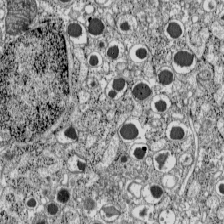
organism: C57BL Mouse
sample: Pancreatic islet